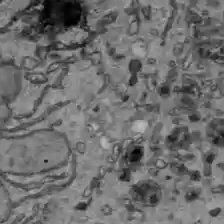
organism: C57BL Mouse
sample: Liver